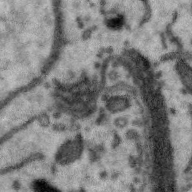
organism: Zebra finch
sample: Brain